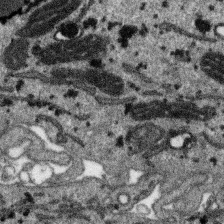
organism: Human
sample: Lung epithelial cells infected with SARS-CoV-2